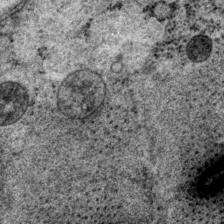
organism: P. pacificus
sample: Pharynx